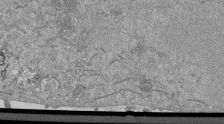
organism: Mouse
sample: ED-1 cell nuclei; centrioles